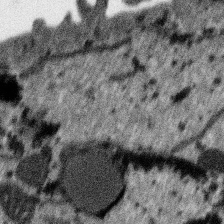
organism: Human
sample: Lung epithelial cells infected with SARS-CoV-2